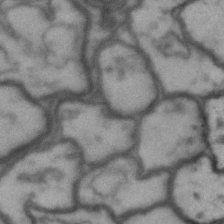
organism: Drosophila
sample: Brain